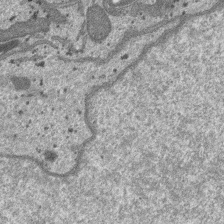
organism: Human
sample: Lung epithelial cells infected with SARS-CoV-2